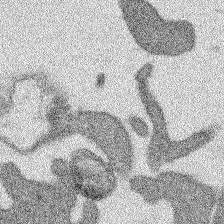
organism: Human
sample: HeLa cells